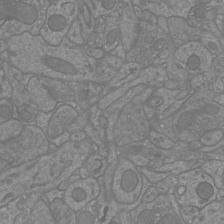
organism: Mouse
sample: Cortical neurons